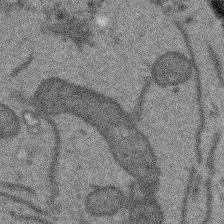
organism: Arabidopsis thaliana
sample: Root tip